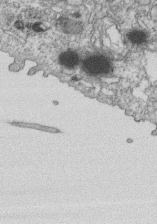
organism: Human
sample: HeLa cell HIV synapse